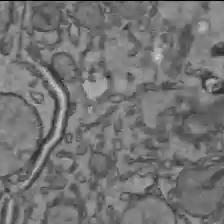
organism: C57BL Mouse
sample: Liver